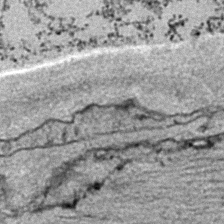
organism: C. elegans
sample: C. elegans embryo